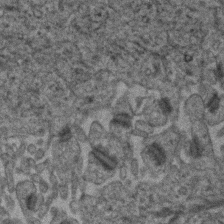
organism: Human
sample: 1205lu cells